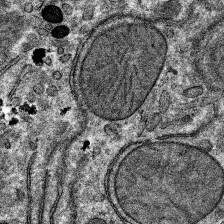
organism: Mouse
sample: Mouse hepatocytes